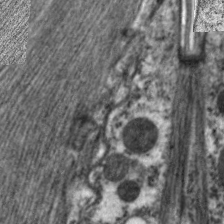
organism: C. elegans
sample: Pharynx